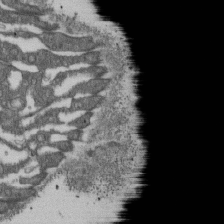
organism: Drosophila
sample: Nephrocyte